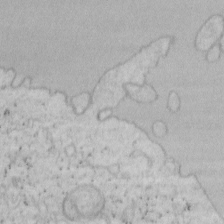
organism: Human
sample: HeLa cells